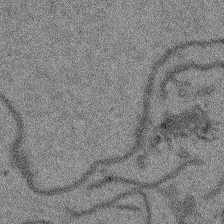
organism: Arabidopsis thaliana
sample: Root tip